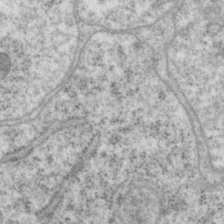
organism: P. pacificus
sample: Pharynx